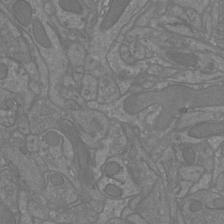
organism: Mouse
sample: Cortical neurons